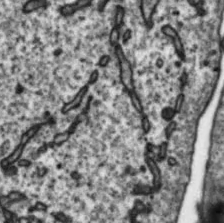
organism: Human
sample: HeLa cells